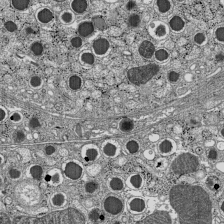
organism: C57BL Mouse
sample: Pancreatic islet